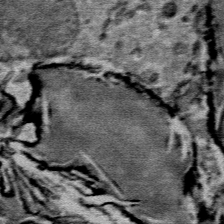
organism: Mouse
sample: Mouse Salivary gland